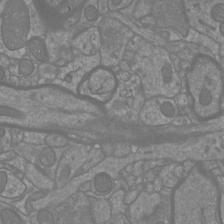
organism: Mouse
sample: Cortical neurons